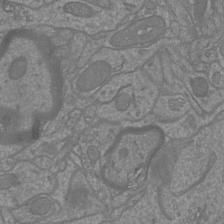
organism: Mouse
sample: Cortical neurons